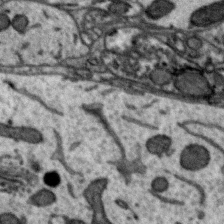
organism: Zebra finch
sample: Brain